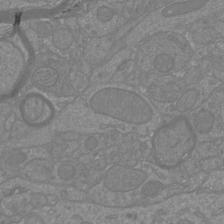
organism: Mouse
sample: Cortical neurons